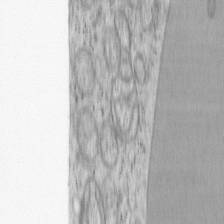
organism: Human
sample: HeLa cells